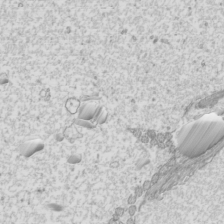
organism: Mouse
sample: Cilia; mouse epididymis